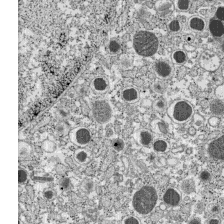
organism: C57BL Mouse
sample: Pancreatic islet